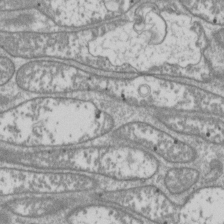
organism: Drosophila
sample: Cell division; meiosis; drosophila spermatocytes